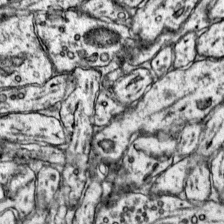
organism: Mouse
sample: Primary visual cortex